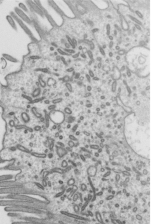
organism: Mouse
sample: Mouse epididymis efferent ductule cilia